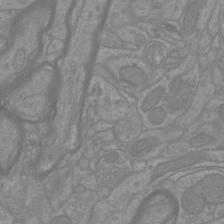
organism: Mouse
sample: Cortical neurons